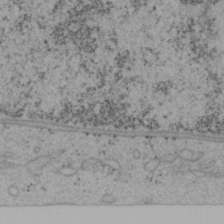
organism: Human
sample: HeLa cells